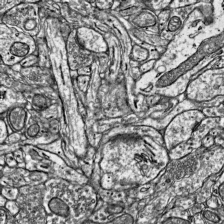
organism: Mouse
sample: Visual Cortex